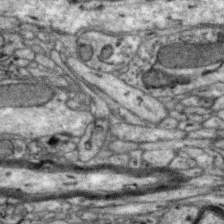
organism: Zebra finch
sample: Brain